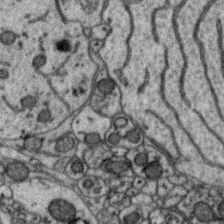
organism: Zebra finch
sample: Brain